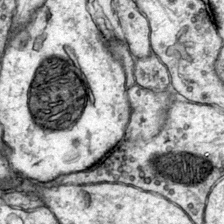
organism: Mouse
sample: Primary visual cortex